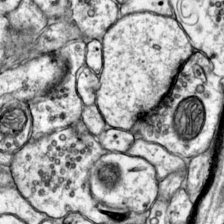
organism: Mouse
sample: Primary visual cortex